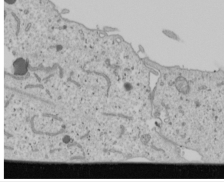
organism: Human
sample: Mitochondria in U2OS cells